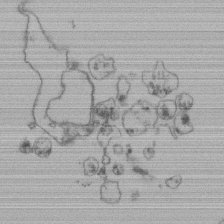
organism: Human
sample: Retinal organoid Rod and Cone cells